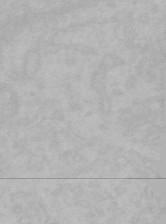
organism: Mouse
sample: Choroid plexus